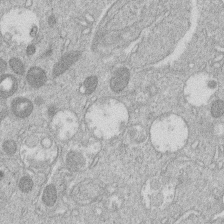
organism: Human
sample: Macrophage cells